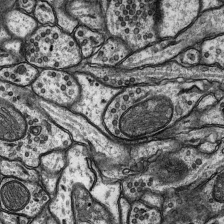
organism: Rat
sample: Hippocampus